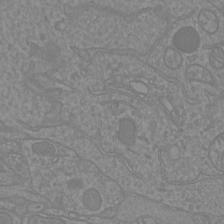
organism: Mouse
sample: Cortical neurons